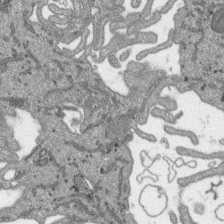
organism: Human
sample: Lung epithelial cells infected with SARS-CoV-2